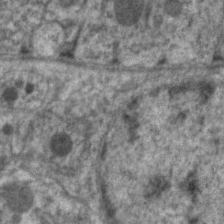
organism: C. elegans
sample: Pharynx